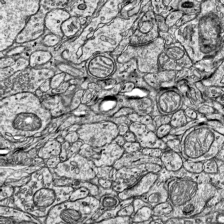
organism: Mouse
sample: Visual Cortex